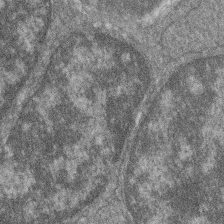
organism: Zebrafish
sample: Cilia; retinal pigment epithelium